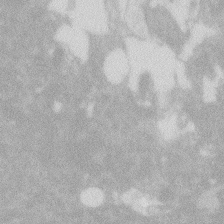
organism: Zebrafish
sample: Macrophage